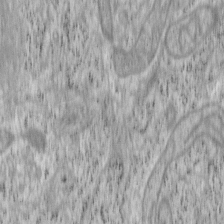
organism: Human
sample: HeLa cells